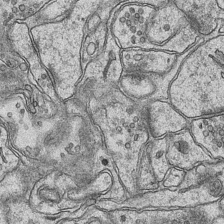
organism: Mouse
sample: CA1 Hippocampus